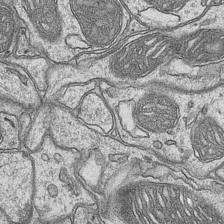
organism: Mouse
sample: CA1 Hippocampus